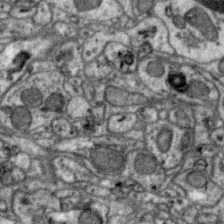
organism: Zebra finch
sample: Brain